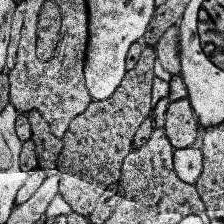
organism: Human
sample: Temporal Lobe